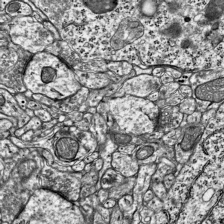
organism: Mouse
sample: Visual Cortex